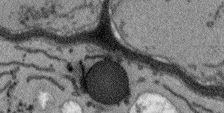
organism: Arabidopsis thaliana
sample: Root tip